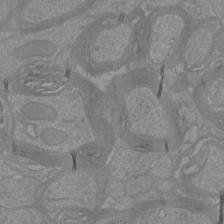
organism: Mouse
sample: Cortical neurons